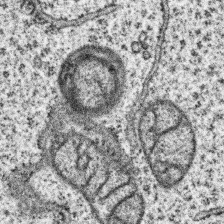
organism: Human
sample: HeLa cells